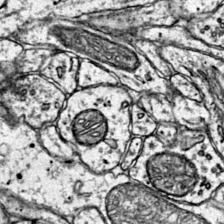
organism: Mouse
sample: Primary visual cortex